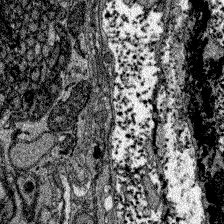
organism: Zebrafish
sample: Larval olfactory bulb